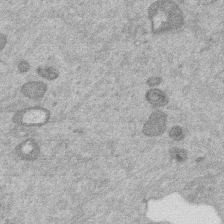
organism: Mouse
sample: Dividing mouse embryo 1 cell stage